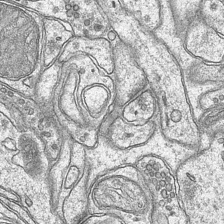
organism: Mouse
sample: CA1 Hippocampus